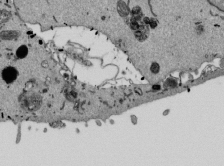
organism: Mouse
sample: ED-1 cell nuclei; centrioles